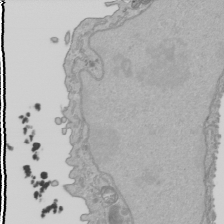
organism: Human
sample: Mitochondria in HCT116 cells